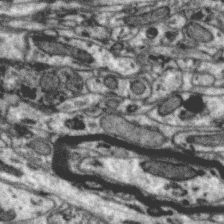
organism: Zebra finch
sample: Brain